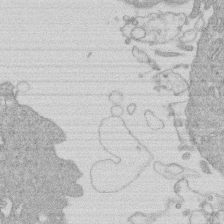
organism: Human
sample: Macrophage cells